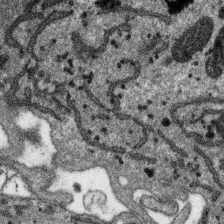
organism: Human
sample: Lung epithelial cells infected with SARS-CoV-2